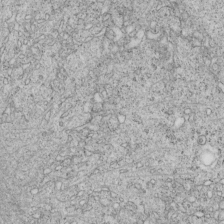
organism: C. elegans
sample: C. elegans embryo early stage